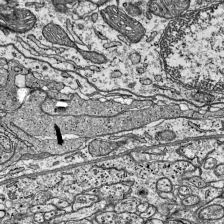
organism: Mouse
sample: Visual Cortex